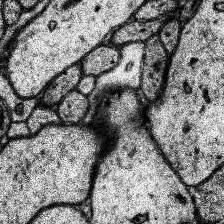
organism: Human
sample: Temporal Lobe